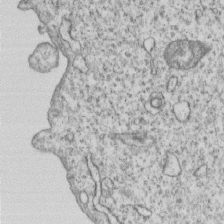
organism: Human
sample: MDA-MB-231 cells